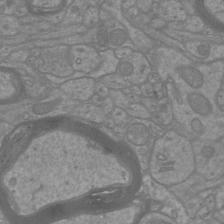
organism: Mouse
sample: Cortical neurons